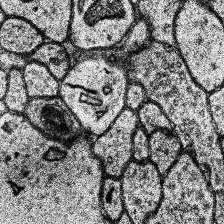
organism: Human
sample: Temporal Lobe